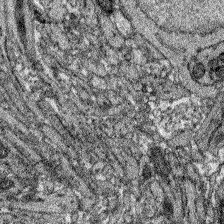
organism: Zebrafish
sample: Larval olfactory bulb